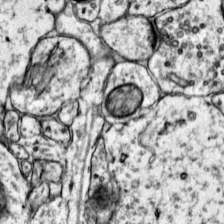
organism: Mouse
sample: Primary visual cortex